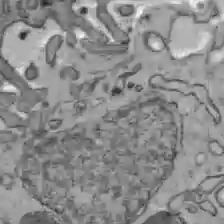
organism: C57BL Mouse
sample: Liver